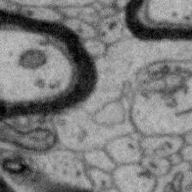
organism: Zebra finch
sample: Brain